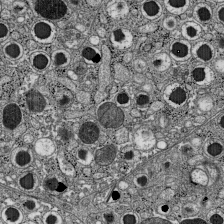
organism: C57BL Mouse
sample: Pancreatic islet